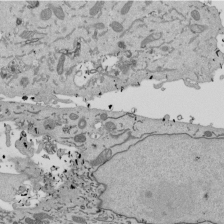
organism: Mouse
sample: ED-1 cell nuclei; centrioles